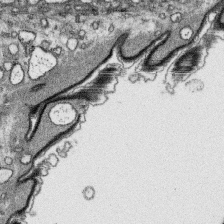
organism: Platynereis dumerilii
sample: Parapodia